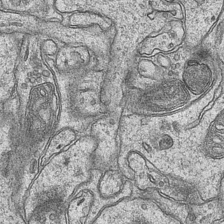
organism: Mouse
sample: CA1 Hippocampus